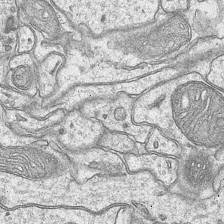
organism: Mouse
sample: CA1 Hippocampus